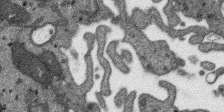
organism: Human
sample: Lung epithelial cells infected with SARS-CoV-2